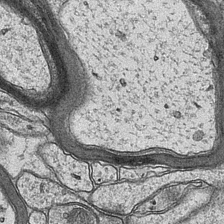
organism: Mouse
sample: CA1 Hippocampus